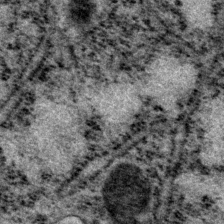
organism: P. pacificus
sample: Pharynx